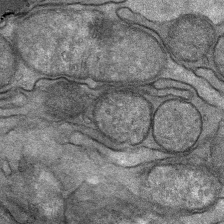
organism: Mouse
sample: Mouse Salivary gland